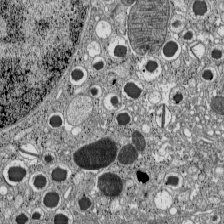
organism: C57BL Mouse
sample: Pancreatic islet